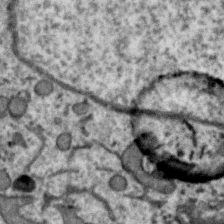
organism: Zebra finch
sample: Brain